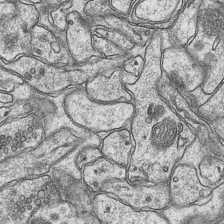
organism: Mouse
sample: CA1 Hippocampus